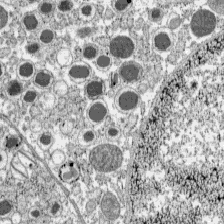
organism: C57BL Mouse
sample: Pancreatic islet